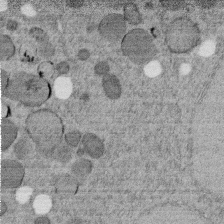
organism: C. elegans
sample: C. elegans embryo early stage